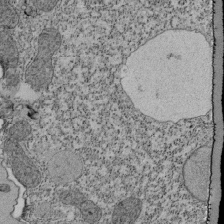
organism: Tetrahymena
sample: Cilia in tetrahymena